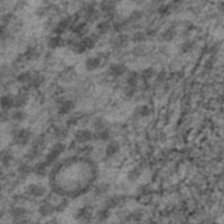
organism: C. elegans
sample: C. elegans embryo